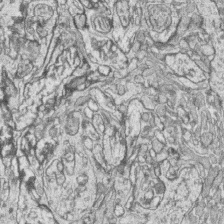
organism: Zebrafish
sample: synaptic ribbons in rod cells and cone cells